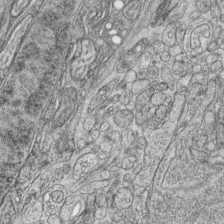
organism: Zebrafish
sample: synaptic ribbons in rod cells and cone cells